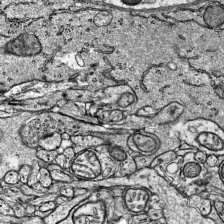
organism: Mouse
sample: Visual Cortex